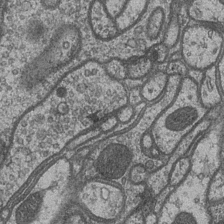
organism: Drosophila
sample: Optic medulla